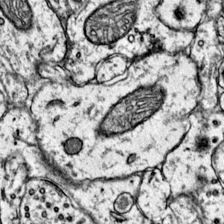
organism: Mouse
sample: Primary visual cortex